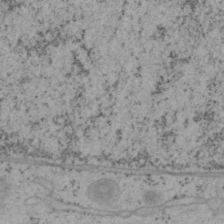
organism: Human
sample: HeLa cells